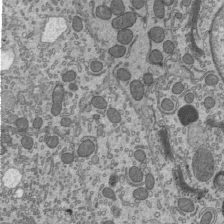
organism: Mouse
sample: Mouse epididymis efferent ductule cilia